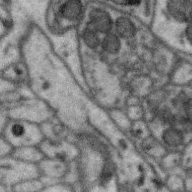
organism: Zebra finch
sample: Brain